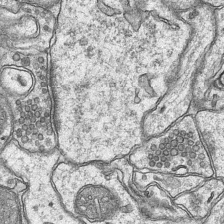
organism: Mouse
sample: CA1 Hippocampus